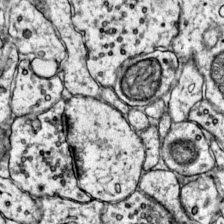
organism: Mouse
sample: Primary visual cortex